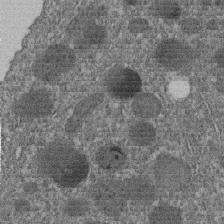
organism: C. elegans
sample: C. elegans embryo early stage